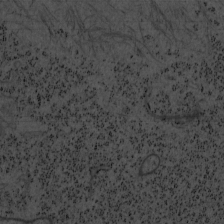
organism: Mouse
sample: OT-I killer T cells with ID8 ovarian cancer cells